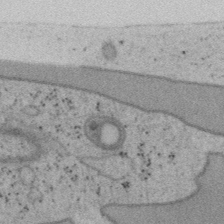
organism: Human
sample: HeLa cells